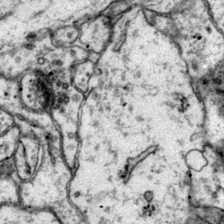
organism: Mouse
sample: Primary visual cortex